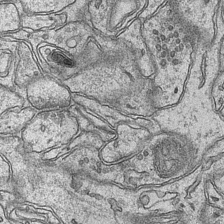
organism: Mouse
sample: CA1 Hippocampus